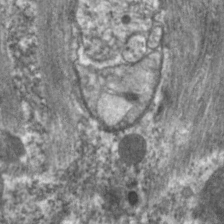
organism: C. elegans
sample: Pharynx